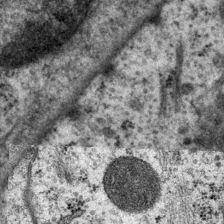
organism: P. pacificus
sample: Pharynx